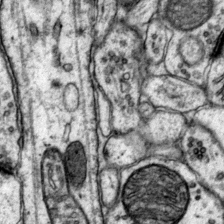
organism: Mouse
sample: Primary visual cortex